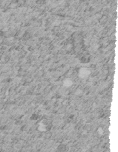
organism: C. elegans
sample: C. elegans embryo early stage